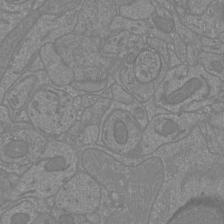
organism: Mouse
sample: Cortical neurons